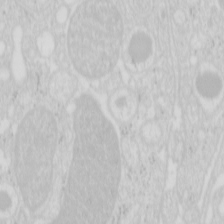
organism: Mouse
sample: Pancreas